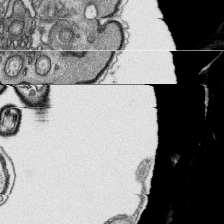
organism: Platynereis dumerilii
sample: Parapodia